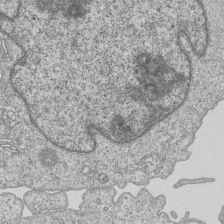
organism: Human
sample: MDA-MB-231 cells